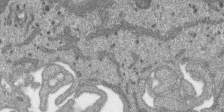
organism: Human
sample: Lung epithelial cells infected with SARS-CoV-2